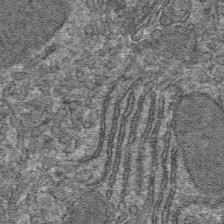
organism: Mouse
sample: Mouse hepatocytes